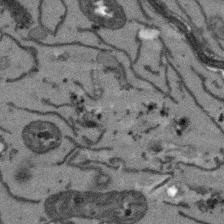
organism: Arabidopsis thaliana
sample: Root tip